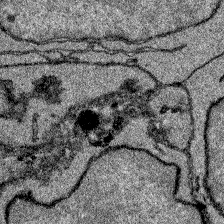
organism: Zebrafish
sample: Larval olfactory bulb